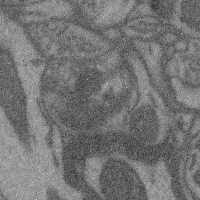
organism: Mouse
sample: Cerebral cortex